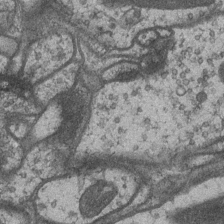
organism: Drosophila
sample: Optic medulla